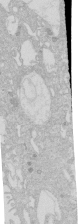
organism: Human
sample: Caco-2 cells